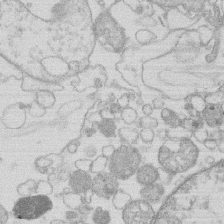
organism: Human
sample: Macrophage cells